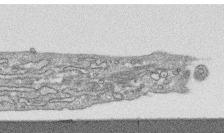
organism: Human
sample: CRL-1474